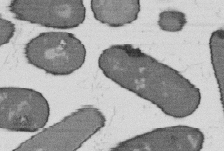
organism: B. subtilis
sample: Bacterial spore